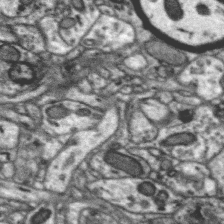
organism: Zebra finch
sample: Brain